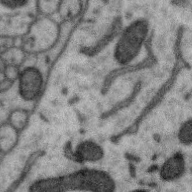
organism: Zebra finch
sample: Brain